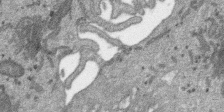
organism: Human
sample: Lung epithelial cells infected with SARS-CoV-2